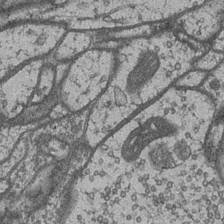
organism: Drosophila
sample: Optic medulla